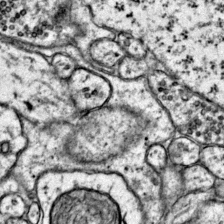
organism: Mouse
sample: Primary visual cortex